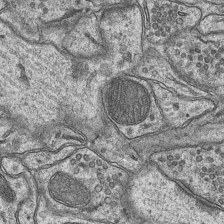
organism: Mouse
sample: CA1 Hippocampus